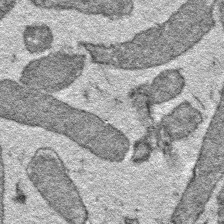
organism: E. coli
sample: E. Coli Bacteria